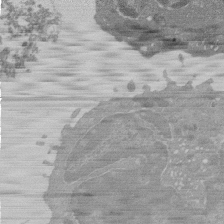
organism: Mouse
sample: Activated Pmel transgenic CD8+ T Cells